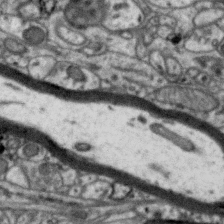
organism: Zebra finch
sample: Brain